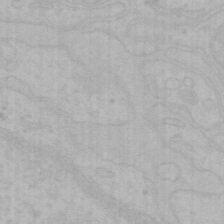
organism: Mouse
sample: Choroid plexus